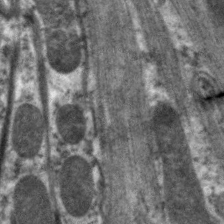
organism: C. elegans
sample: Pharynx